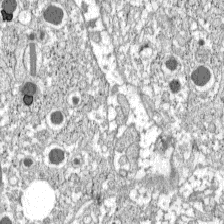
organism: C57BL Mouse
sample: Pancreatic islet